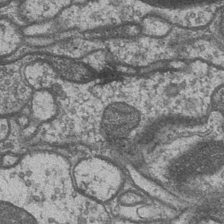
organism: Drosophila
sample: Optic medulla